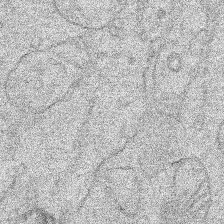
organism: Human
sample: Mitochondria in HCT116 cells